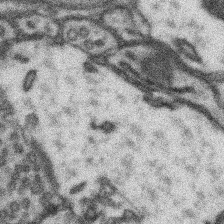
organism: Mouse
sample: Somatosensory cortex neuropil